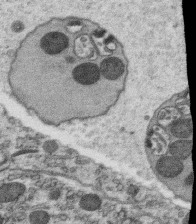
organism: C. elegans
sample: C. elegans oocyte; sperm cells